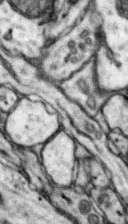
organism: Mouse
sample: Nucleus accumbens